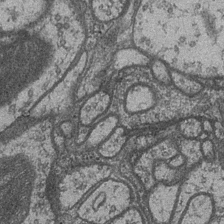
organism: Drosophila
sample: Optic medulla